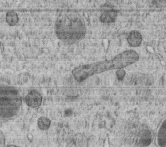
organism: C. elegans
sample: C. elegans embryo early stage